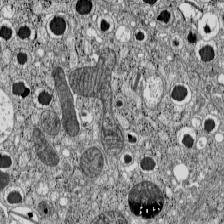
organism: C57BL Mouse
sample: Pancreatic islet